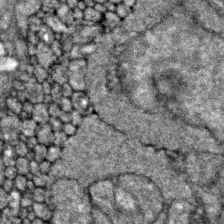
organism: Zebrafish